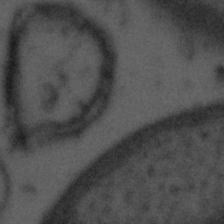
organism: Tuwongella immobilis